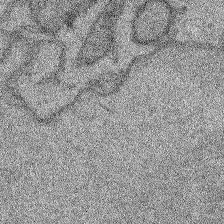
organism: Human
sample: HeLa cells